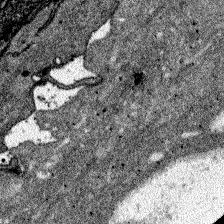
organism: Zebrafish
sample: Larval olfactory bulb